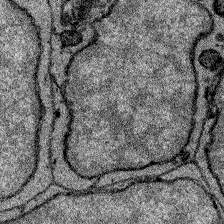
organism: Zebrafish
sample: Larval olfactory bulb